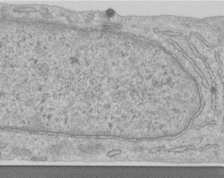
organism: Human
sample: Centriole in RPE cells